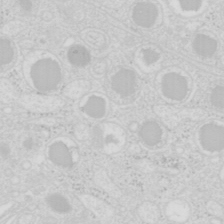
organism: Mouse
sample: Pancreas